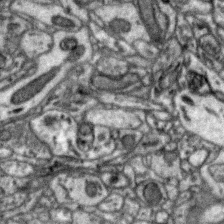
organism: Zebra finch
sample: Brain